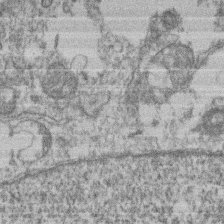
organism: Mouse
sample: T cell stromal cell synapse